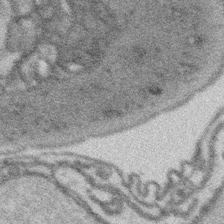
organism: Platynereis dumerilii